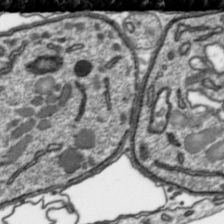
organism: Toxoplasma gondii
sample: Parasites in a vacuole inside a host cell